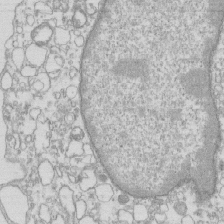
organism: Mouse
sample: Macrophages